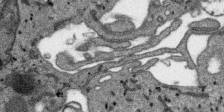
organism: Human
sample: Lung epithelial cells, uninfected (mock) control